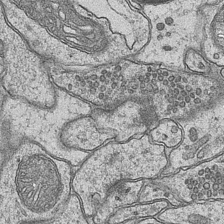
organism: Mouse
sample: CA1 Hippocampus